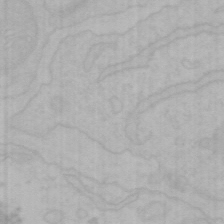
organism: Mouse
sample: Choroid plexus